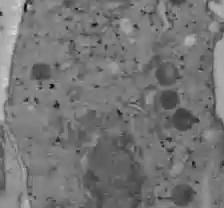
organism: C57BL Mouse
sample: Liver